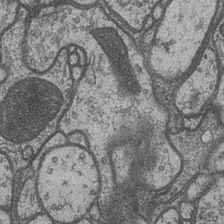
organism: Drosophila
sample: Optic medulla